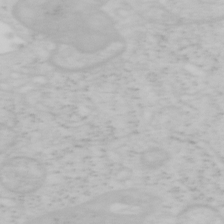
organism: Mouse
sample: OT-I killer T cells with ID8 ovarian cancer cells